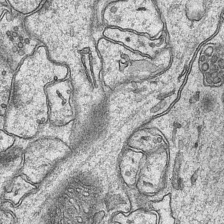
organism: Mouse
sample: CA1 Hippocampus